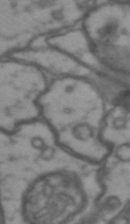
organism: Drosophila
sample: Brain